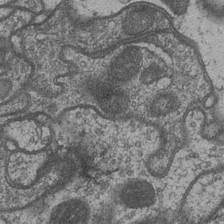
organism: Drosophila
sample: Optic medulla